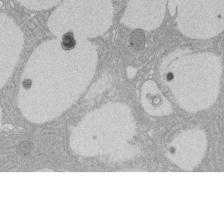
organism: Rat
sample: Salivary granule